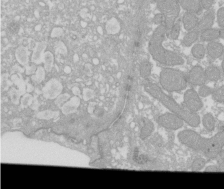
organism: Xenopus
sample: Cilia; centrioles in frog embryo cells